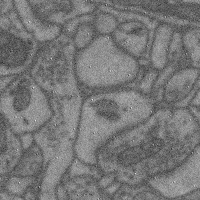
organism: Mouse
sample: Cerebral cortex